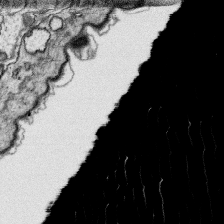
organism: Platynereis dumerilii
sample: Parapodia